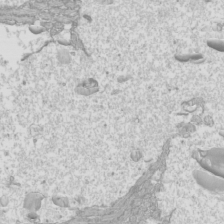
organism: Mouse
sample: Cilia; mouse epididymis